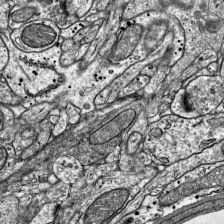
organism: Mouse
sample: Visual Cortex